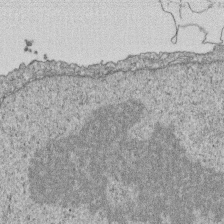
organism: Human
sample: HeLa cell HIV synapse